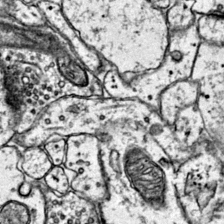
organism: Mouse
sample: Primary visual cortex